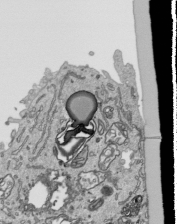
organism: Human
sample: Mitochondria in HCT116 cells